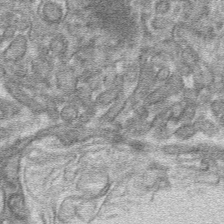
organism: Mouse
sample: Mouse hepatocytes